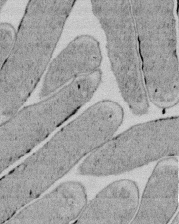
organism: E. coli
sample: Bacterial nucleoid